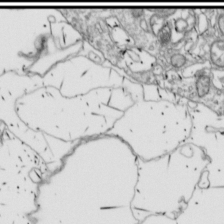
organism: Drosophila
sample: Cell division; meiosis; drosophila spermatocytes